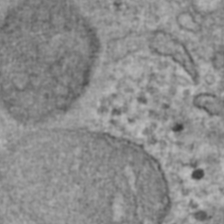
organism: Human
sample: Blood